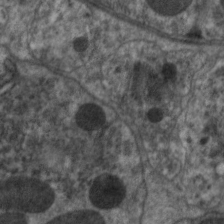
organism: C. elegans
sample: Pharynx